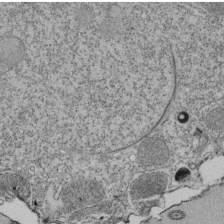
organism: Tetrahymena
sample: Cilia in tetrahymena